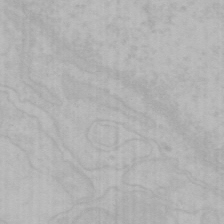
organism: Mouse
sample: Choroid plexus